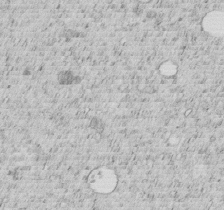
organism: C. elegans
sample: C. elegans embryo early stage